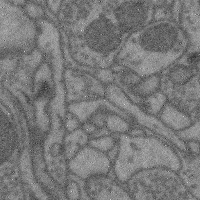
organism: Mouse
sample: Cerebral cortex